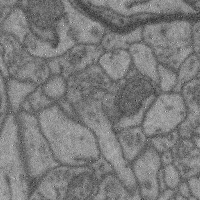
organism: Mouse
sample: Cerebral cortex